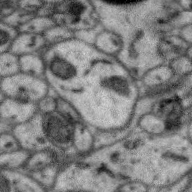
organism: Zebra finch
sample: Brain